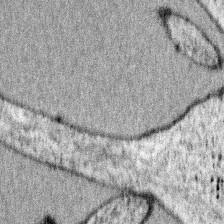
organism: Human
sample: HeLa cells